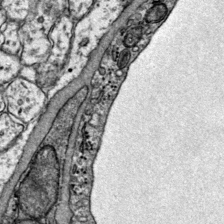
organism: Mouse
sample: Primary visual cortex